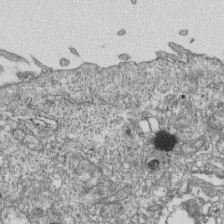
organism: Human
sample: HeLa cell HIV synapse